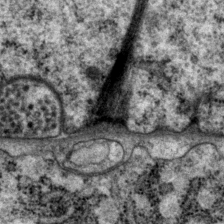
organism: P. pacificus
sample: Pharynx